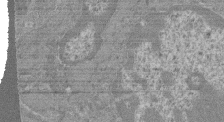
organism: Mouse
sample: Glomerulus